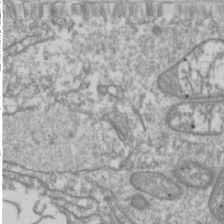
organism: Drosophila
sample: Cell division; meiosis; drosophila spermatocytes